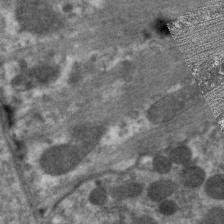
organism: C. elegans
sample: Pharynx